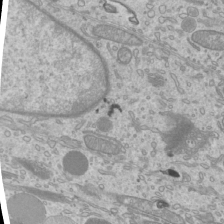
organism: Mouse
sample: Cilia; mouse epididymis